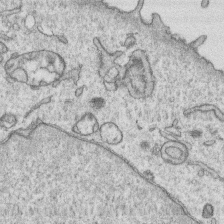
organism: Human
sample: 1205lu cells